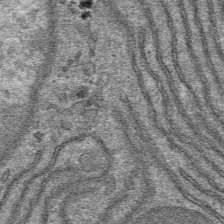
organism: Mouse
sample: Mouse hepatocytes